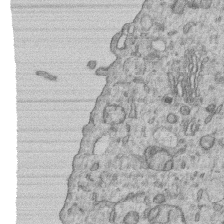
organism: Human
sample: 1205lu cells